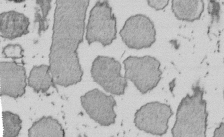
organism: E. coli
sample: Bacterial nucleoid